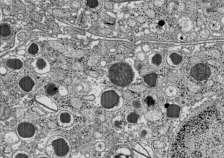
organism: C57BL Mouse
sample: Pancreatic islet